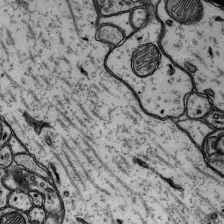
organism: Rat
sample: Hippocampus